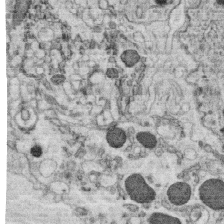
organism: C. elegans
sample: C. elegans oocyte; sperm cells